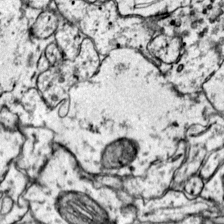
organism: Mouse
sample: Primary visual cortex